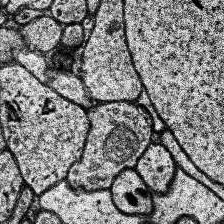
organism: Human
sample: Temporal Lobe